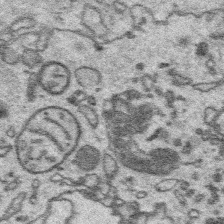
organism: Platynereis dumerilii